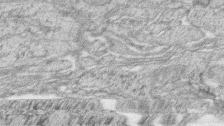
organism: Zebrafish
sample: synaptic ribbons in rod cells and cone cells